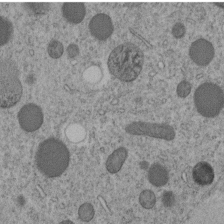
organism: C. elegans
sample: C. elegans embryo early stage